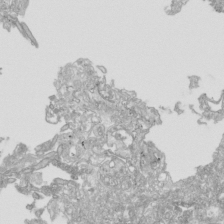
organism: Human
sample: Mitochondria in HCT116 cells